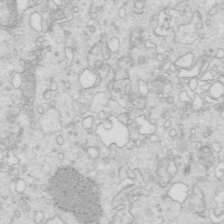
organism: Mouse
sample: Multiciliated cells